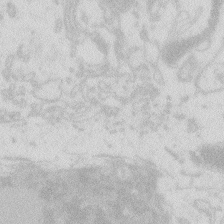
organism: Zebrafish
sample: Macrophage